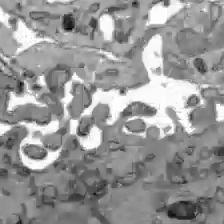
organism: C57BL Mouse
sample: Liver